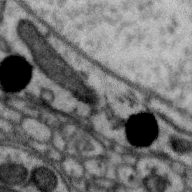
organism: Zebra finch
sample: Brain